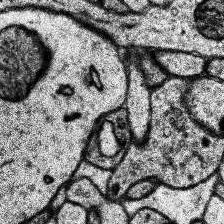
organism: Human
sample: Temporal Lobe